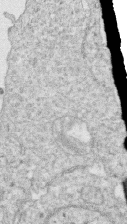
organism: Human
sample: HeLa cell HIV synapse